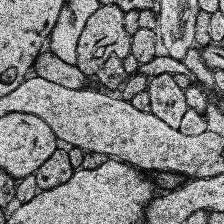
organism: Human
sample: Temporal Lobe